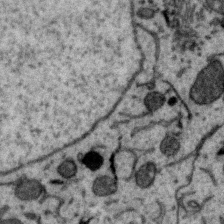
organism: Zebra finch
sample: Brain